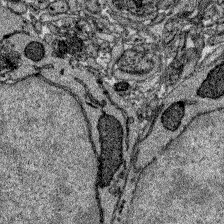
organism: Zebrafish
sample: Larval olfactory bulb